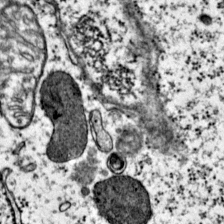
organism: Mouse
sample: Primary visual cortex